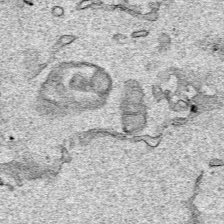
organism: Human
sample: Mitochondria in HCT116 cells